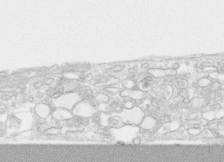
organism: Human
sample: CRL-1474